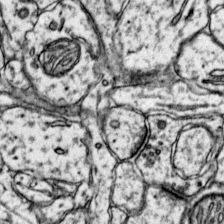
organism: Mouse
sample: Primary visual cortex